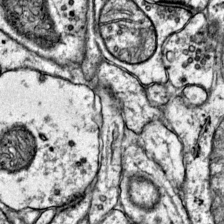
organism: Mouse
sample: Primary visual cortex